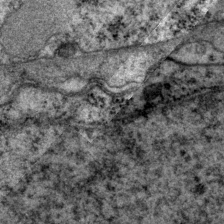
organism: P. pacificus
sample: Pharynx